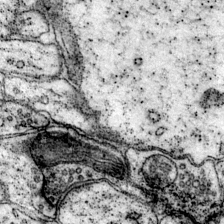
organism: Mouse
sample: Primary visual cortex